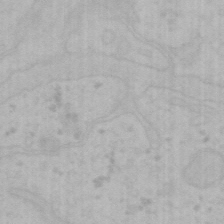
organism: Mouse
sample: Choroid plexus